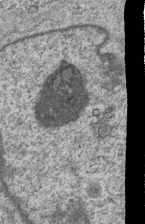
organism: Human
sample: MDA-MB-231 cells